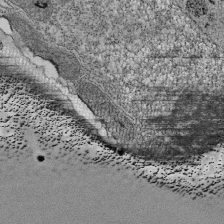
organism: Tetrahymena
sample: Cilia in tetrahymena